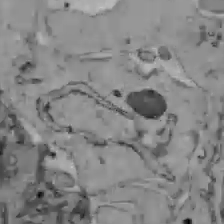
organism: C57BL Mouse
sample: Liver